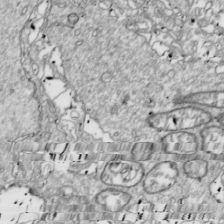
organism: Drosophila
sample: Cell division; meiosis; drosophila spermatocytes